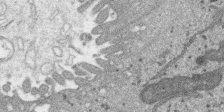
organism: Human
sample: Lung epithelial cells infected with SARS-CoV-2